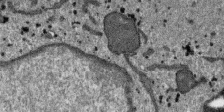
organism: Human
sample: Lung epithelial cells, uninfected (mock) control